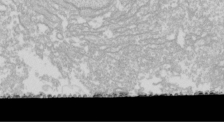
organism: Drosophila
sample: Cell division; meiosis; drosophila spermatocytes